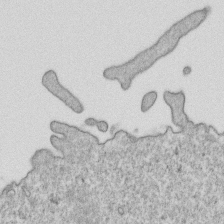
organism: Mouse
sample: Activated OT-1 CD8+ T cells